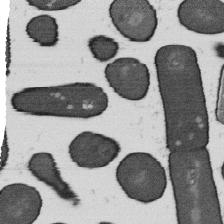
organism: B. subtilis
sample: Bacterial spore